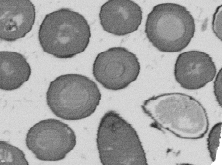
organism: B. subtilis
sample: Bacterial spore